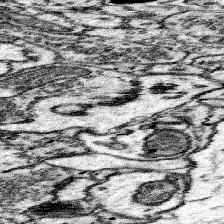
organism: Mouse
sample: Somatosensory cortex neuropil